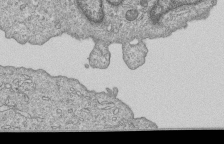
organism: Human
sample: MDA-MB-231 cells